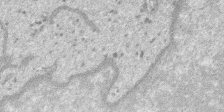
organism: Human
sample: Lung epithelial cells infected with SARS-CoV-2